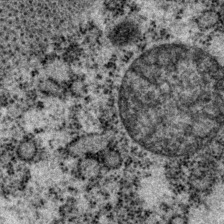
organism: P. pacificus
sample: Pharynx